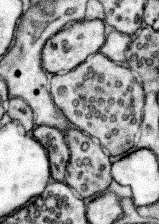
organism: Mouse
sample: Somatosensory cortex neuropil